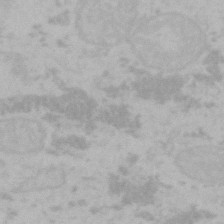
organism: Mouse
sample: Choroid plexus